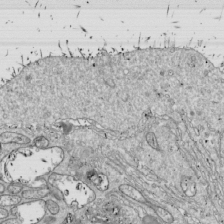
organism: Drosophila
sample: Cell division; meiosis; drosophila spermatocytes